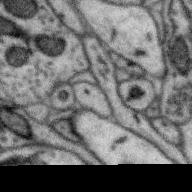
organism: Zebra finch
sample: Brain